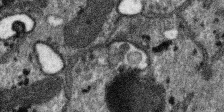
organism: Human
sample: Lung epithelial cells infected with SARS-CoV-2